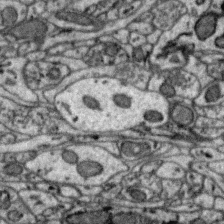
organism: Zebra finch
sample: Brain